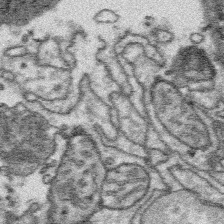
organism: Platynereis dumerilii